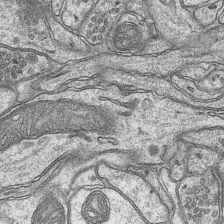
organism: Mouse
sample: CA1 Hippocampus